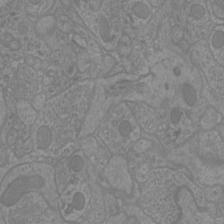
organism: Mouse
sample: Cortical neurons